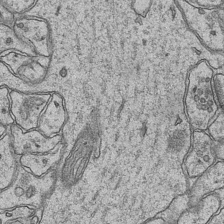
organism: Mouse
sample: CA1 Hippocampus